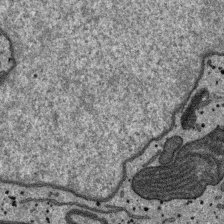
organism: Human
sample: Lung epithelial cells, uninfected (mock) control